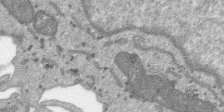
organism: Human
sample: Lung epithelial cells infected with SARS-CoV-2